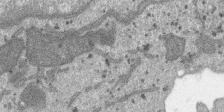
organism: Human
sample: Lung epithelial cells infected with SARS-CoV-2